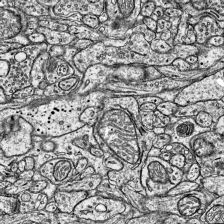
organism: Mouse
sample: Visual Cortex